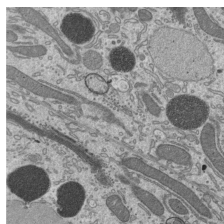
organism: Mouse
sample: Mouse epididymis efferent ductule cilia